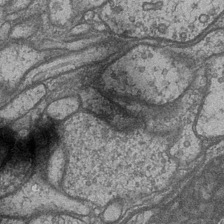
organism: Drosophila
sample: Optic medulla